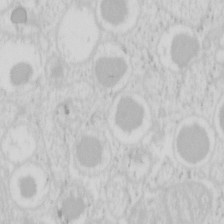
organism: Mouse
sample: Pancreas